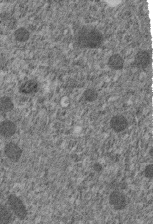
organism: C. elegans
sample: C. elegans embryo early stage